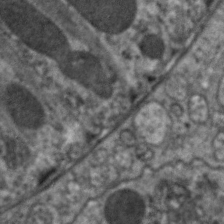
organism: C. elegans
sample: Pharynx